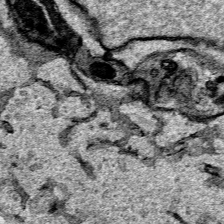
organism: Human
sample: Mitochondria in HCT116 cells